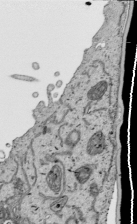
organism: Human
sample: Mitochondria in HCT116 cells